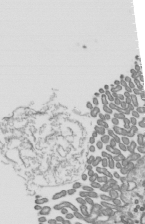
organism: Mouse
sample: Mouse epididymis efferent ductule cilia